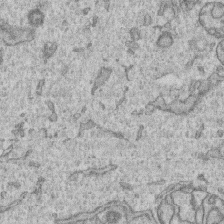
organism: Human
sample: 1205lu cells